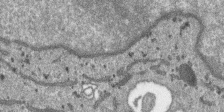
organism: Human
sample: Lung epithelial cells infected with SARS-CoV-2